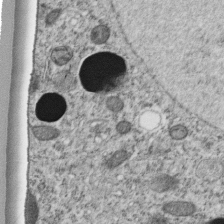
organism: C. elegans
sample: C. elegans embryo early stage